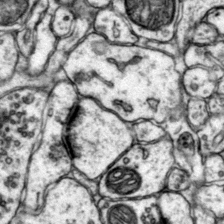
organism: Mouse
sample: Primary visual cortex